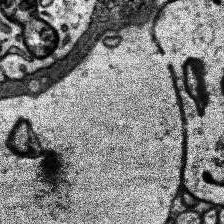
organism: Human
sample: Temporal Lobe